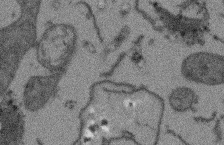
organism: Arabidopsis thaliana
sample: Root tip